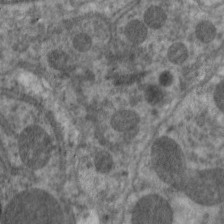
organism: C. elegans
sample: Pharynx